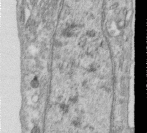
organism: Human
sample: Centriole in RPE cells